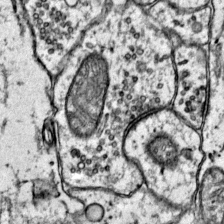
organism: Mouse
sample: Primary visual cortex